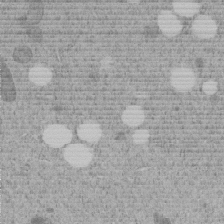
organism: C. elegans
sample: C. elegans embryo early stage